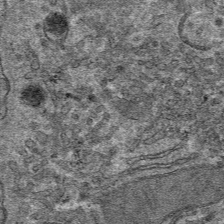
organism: Mouse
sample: Mouse hepatocytes